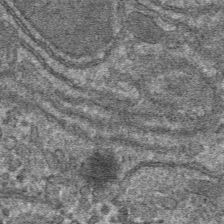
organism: Mouse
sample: Mouse hepatocytes